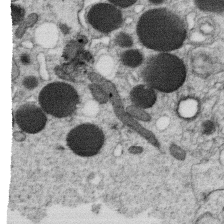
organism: C. elegans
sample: C. elegans oocyte; sperm cells